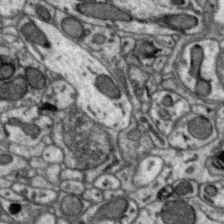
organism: Zebra finch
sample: Brain